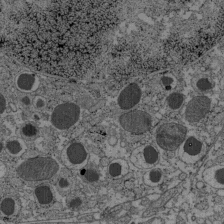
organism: C57BL Mouse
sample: Pancreatic islet